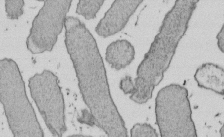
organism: E. coli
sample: Bacterial nucleoid